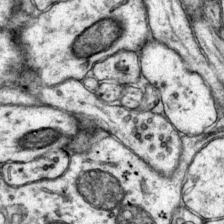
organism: Mouse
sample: Primary visual cortex